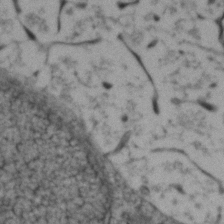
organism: Zebrafish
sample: Zebrafish embryo